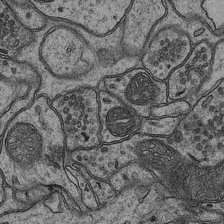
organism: Mouse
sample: CA1 Hippocampus